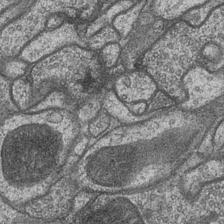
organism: Drosophila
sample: Optic medulla